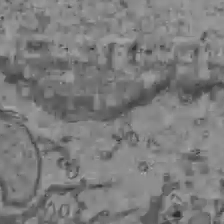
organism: C57BL Mouse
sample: Liver